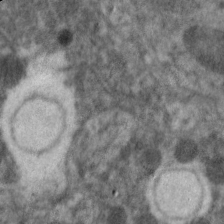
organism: C. elegans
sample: Pharynx